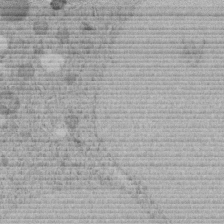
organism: C. elegans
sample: C. elegans embryo early stage